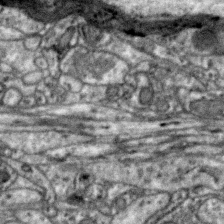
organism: Zebra finch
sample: Brain